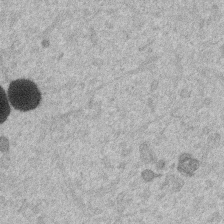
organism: Mouse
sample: Dividing mouse embryo 1 cell stage